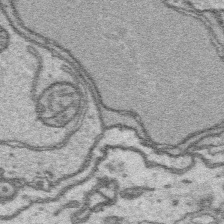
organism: Platynereis dumerilii